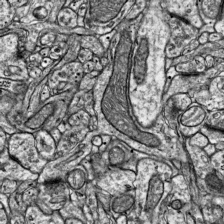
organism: Mouse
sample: Visual Cortex